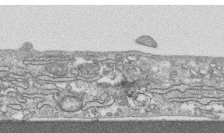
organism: Human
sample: CRL-1474